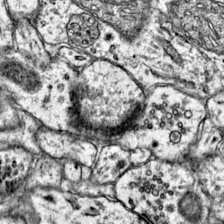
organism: Mouse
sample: Primary visual cortex